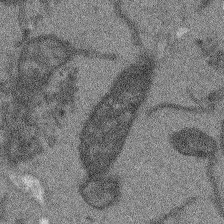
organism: Arabidopsis thaliana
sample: Root tip